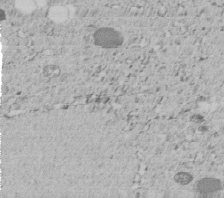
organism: C. elegans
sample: C. elegans embryo early stage